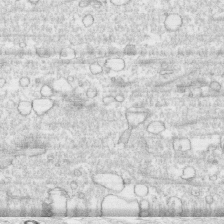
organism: Human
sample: CRL-1474